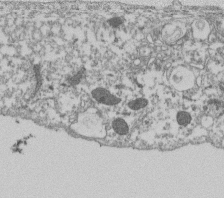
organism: Dictyostelium discoideum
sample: Dictyostelium multivesicular bodies